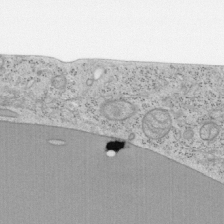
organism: Human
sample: HeLa cells